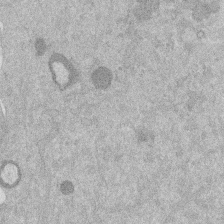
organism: Mouse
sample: Dividing mouse embryo 1 cell stage